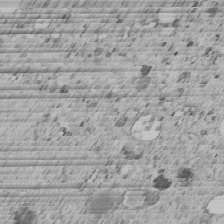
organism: C. elegans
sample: C. elegans embryo early stage